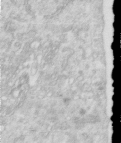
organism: Human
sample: Centriole in RPE cells